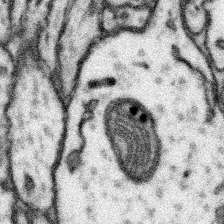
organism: Mouse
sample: Somatosensory cortex neuropil